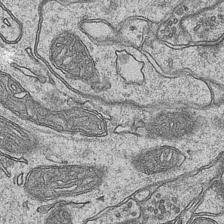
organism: Mouse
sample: CA1 Hippocampus